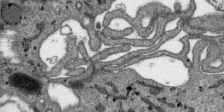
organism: Human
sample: Lung epithelial cells, uninfected (mock) control